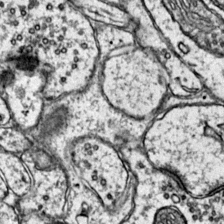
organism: Mouse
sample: Primary visual cortex